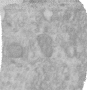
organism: Human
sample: Centriole in RPE cells